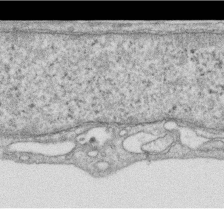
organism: Human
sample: Centriole in RPE cells